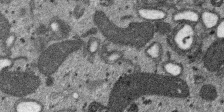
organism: Human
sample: Lung epithelial cells infected with SARS-CoV-2